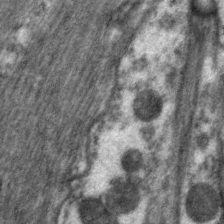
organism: C. elegans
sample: Pharynx